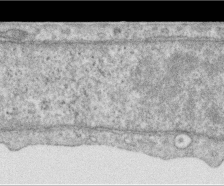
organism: Human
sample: Centriole in RPE cells